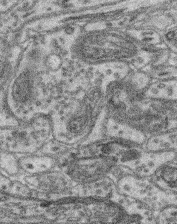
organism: Mouse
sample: Retina